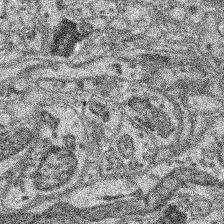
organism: Mouse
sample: Retina